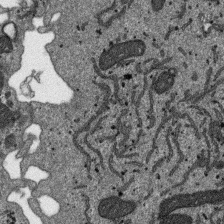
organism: Human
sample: Lung epithelial cells infected with SARS-CoV-2